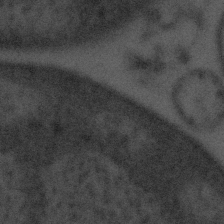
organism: Tuwongella immobilis